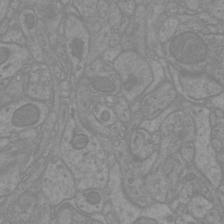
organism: Mouse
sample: Cortical neurons